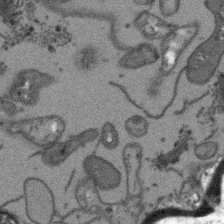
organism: Arabidopsis thaliana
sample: Root tip